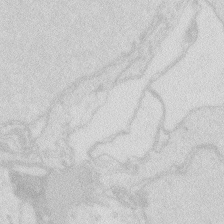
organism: Zebrafish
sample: Macrophage